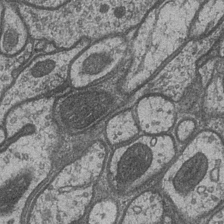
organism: Drosophila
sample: Optic medulla